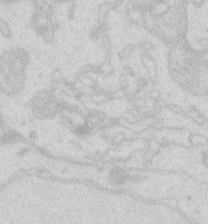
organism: Zebrafish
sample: Macrophage